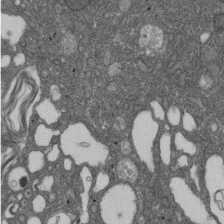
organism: Drosophila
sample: Nephrocyte